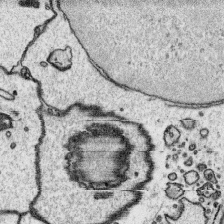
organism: Platynereis dumerilii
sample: Parapodia